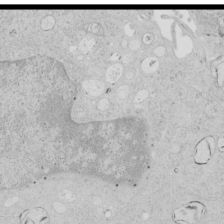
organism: Human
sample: Mitochondria in HCT116 cells